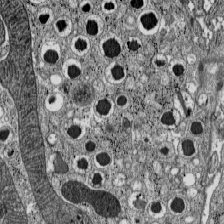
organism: C57BL Mouse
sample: Pancreatic islet